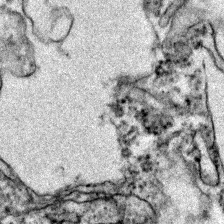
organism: Zebrafish